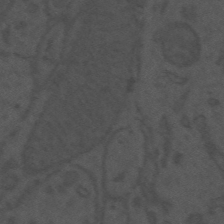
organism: Mouse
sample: Suprachiasmatic nucleus